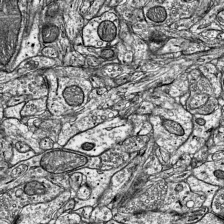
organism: Mouse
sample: Visual Cortex